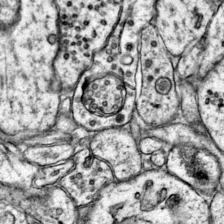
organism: Mouse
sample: Primary visual cortex